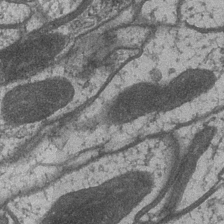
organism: Drosophila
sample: Optic medulla